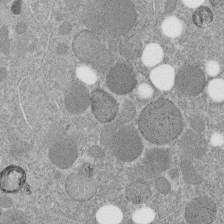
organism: C. elegans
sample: C. elegans embryo early stage